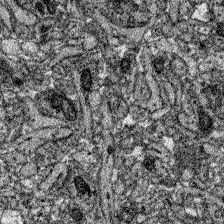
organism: Zebrafish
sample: Larval olfactory bulb